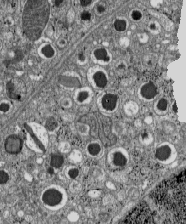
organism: C57BL Mouse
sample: Pancreatic islet